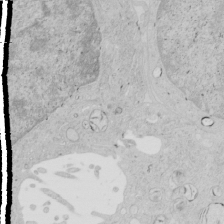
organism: Human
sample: Mitochondria in HCT116 cells